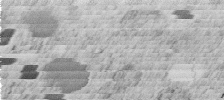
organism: C. elegans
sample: C. elegans embryo early stage